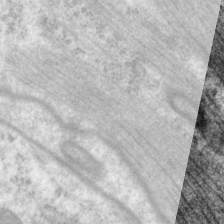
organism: P. pacificus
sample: Pharynx